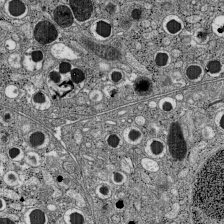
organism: C57BL Mouse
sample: Pancreatic islet